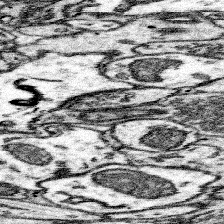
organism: Mouse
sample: Somatosensory cortex neuropil